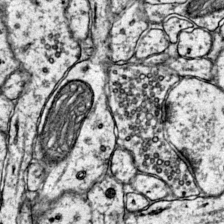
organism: Mouse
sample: Primary visual cortex